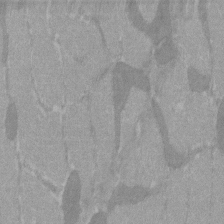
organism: C57BL Mouse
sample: Tibialis anterior muscle cell